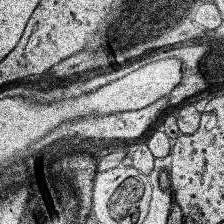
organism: Human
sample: Temporal Lobe